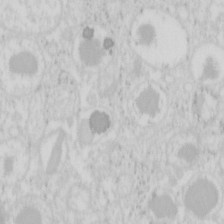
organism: Mouse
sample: Pancreas